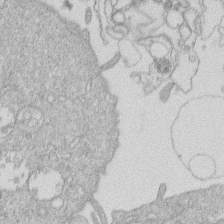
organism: Human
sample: Macrophage cells